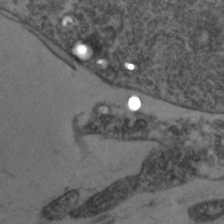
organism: Zebrafish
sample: Zebrafish embryo